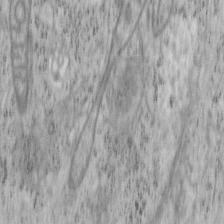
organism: Human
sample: HeLa cells